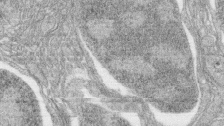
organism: Zebrafish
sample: synaptic ribbons in rod cells and cone cells